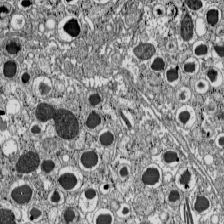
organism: C57BL Mouse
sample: Pancreatic islet